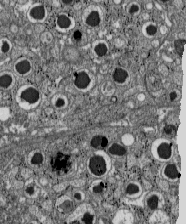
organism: C57BL Mouse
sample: Pancreatic islet